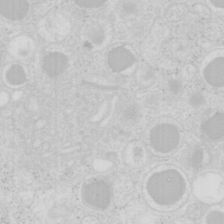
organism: Mouse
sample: Pancreas